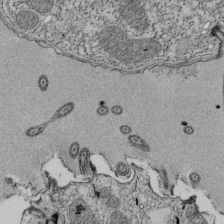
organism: Tetrahymena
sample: Cilia in tetrahymena